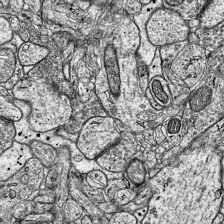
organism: Mouse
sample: Visual Cortex